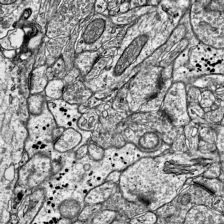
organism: Mouse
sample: Visual Cortex